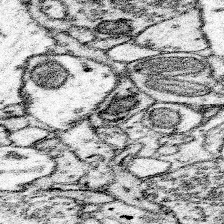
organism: Mouse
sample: Somatosensory cortex neuropil